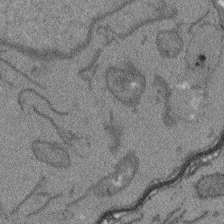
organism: Arabidopsis thaliana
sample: Root tip